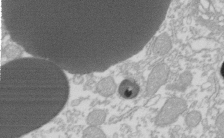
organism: Xenopus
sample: Cilia; centrioles in frog embryo cells